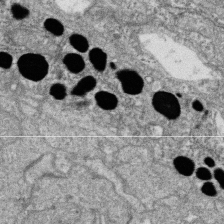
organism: Zebrafish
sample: Cilia; retinal pigment epithelium